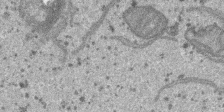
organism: Human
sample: Lung epithelial cells infected with SARS-CoV-2